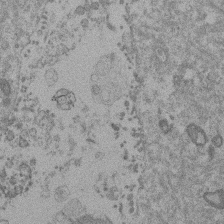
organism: Mouse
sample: Dividing mouse embryo 1 cell stage